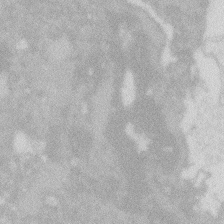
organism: Zebrafish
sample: Macrophage